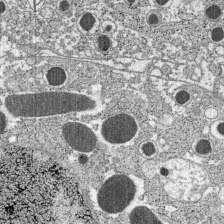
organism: C57BL Mouse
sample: Pancreatic islet